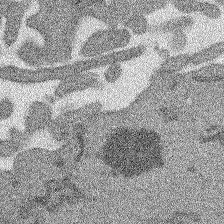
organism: Human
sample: HeLa cells